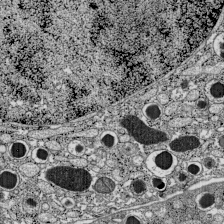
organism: C57BL Mouse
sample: Pancreatic islet